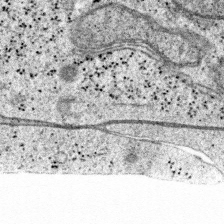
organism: Human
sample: HeLa cells